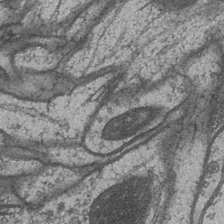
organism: Drosophila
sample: Optic medulla